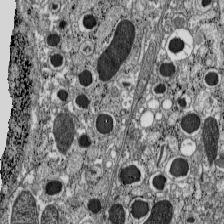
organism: C57BL Mouse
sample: Pancreatic islet